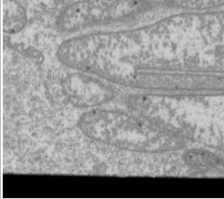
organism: Drosophila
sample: Cell division; meiosis; drosophila spermatocytes